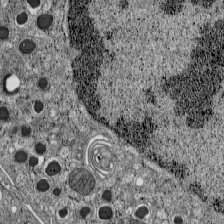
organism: C57BL Mouse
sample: Pancreatic islet